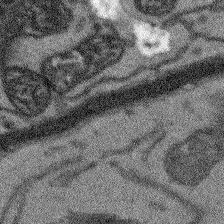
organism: Arabidopsis thaliana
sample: Root tip